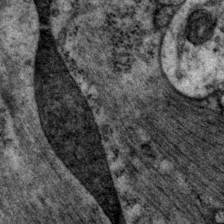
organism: P. pacificus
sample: Pharynx